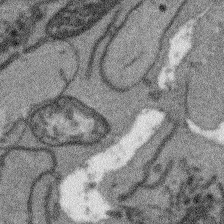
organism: Arabidopsis thaliana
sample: Root tip